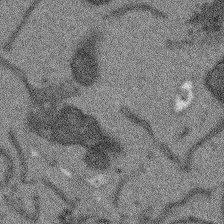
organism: Arabidopsis thaliana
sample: Root tip